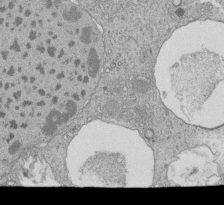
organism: Tetrahymena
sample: Cilia in tetrahymena